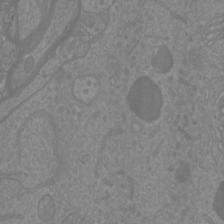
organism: Mouse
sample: Cortical neurons